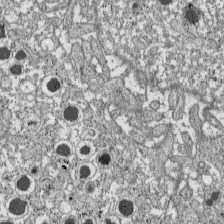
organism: C57BL Mouse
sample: Pancreatic islet